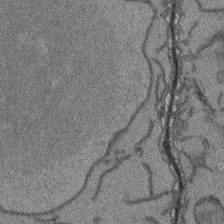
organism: Arabidopsis thaliana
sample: Root tip